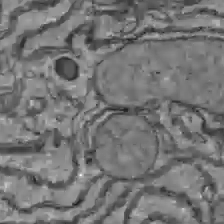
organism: C57BL Mouse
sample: Liver